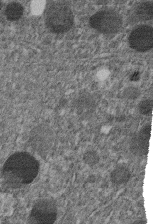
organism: C. elegans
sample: C. elegans embryo early stage